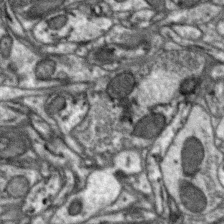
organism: Zebra finch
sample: Brain